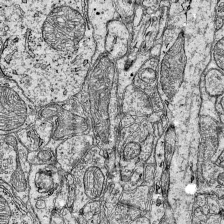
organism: Mouse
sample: Visual Cortex